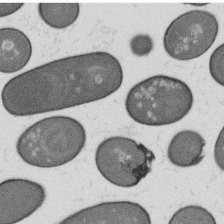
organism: B. subtilis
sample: Bacterial spore